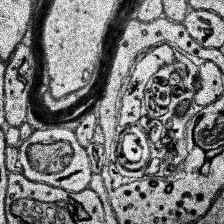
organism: Human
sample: Temporal Lobe